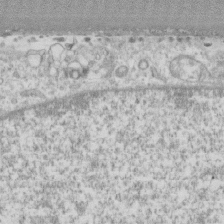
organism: Human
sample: CRL-1474